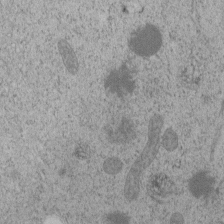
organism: C. elegans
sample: C. elegans embryo early stage